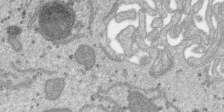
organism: Human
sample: Lung epithelial cells infected with SARS-CoV-2